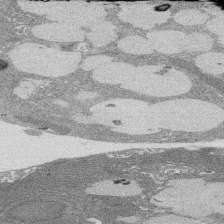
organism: Rat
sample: Salivary granule